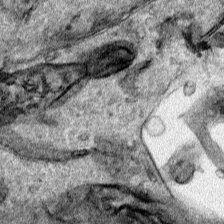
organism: Human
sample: Mitochondria in HCT116 cells